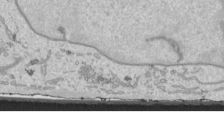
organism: Human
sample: Mitochondria in HCT116 cells